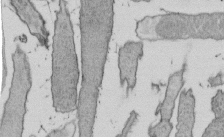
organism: E. coli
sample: Bacterial nucleoid